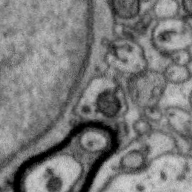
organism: Zebra finch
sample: Brain